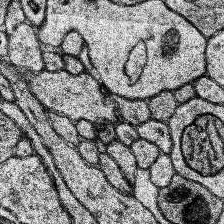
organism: Human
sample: Temporal Lobe